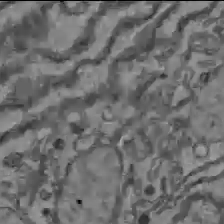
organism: C57BL Mouse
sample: Liver